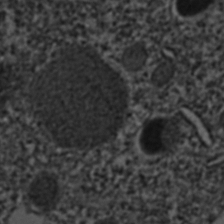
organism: C. elegans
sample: C. elegans embryo